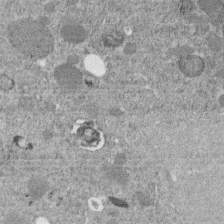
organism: C. elegans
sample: C. elegans embryo early stage